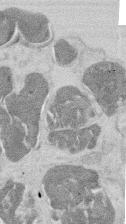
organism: Mouse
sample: T cell stromal cell synapse